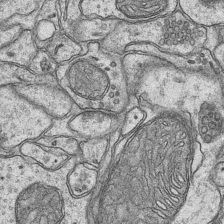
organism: Mouse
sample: CA1 Hippocampus